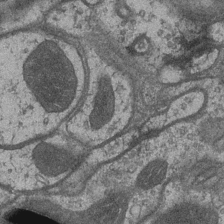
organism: Drosophila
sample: Optic medulla